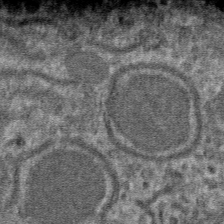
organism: Mouse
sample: Mouse hepatocytes